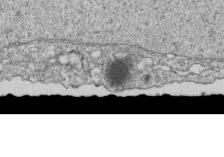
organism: Human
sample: HeLa cell HIV synapse